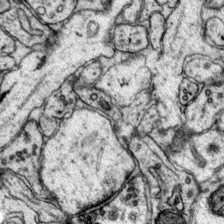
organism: Mouse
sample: Primary visual cortex